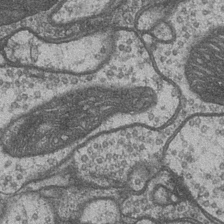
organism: Drosophila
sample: Optic medulla